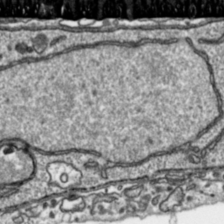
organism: Toxoplasma gondii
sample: Parasites in a vacuole inside a host cell